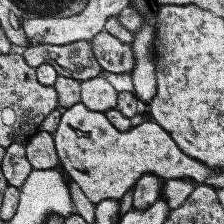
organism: Human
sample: Temporal Lobe